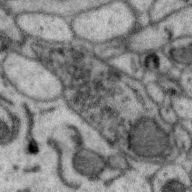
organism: Zebra finch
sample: Brain